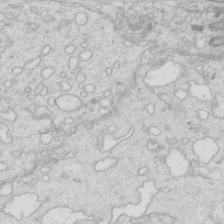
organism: Mouse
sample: Multiciliated cells